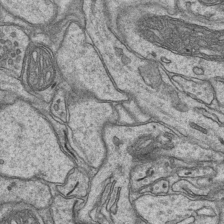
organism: Mouse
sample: CA1 Hippocampus